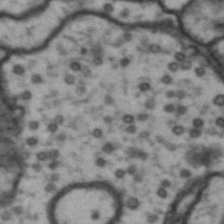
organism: Drosophila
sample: Brain